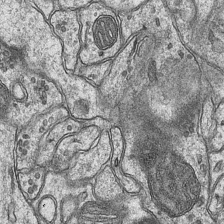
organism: Mouse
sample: CA1 Hippocampus